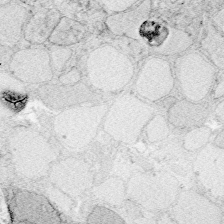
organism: Zebrafish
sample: Whole-Brain